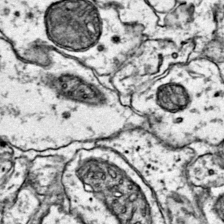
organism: Mouse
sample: Primary visual cortex